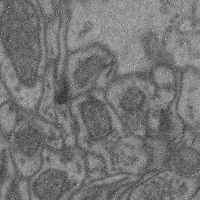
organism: Mouse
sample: Cerebral cortex